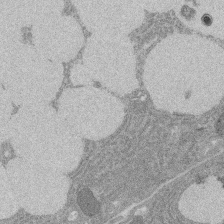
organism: Rat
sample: Salivary granule